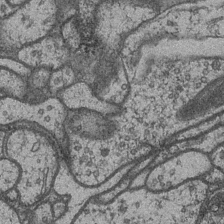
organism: Drosophila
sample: Optic medulla